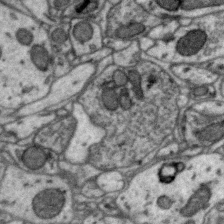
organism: Zebra finch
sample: Brain